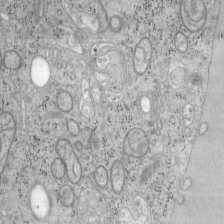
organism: Mouse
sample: OT-I killer T cells with ID8 ovarian cancer cells